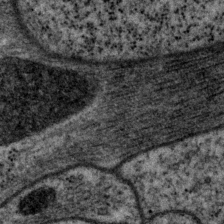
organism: P. pacificus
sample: Pharynx